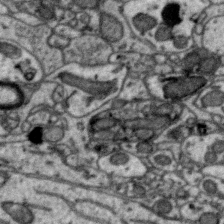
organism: Zebra finch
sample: Brain